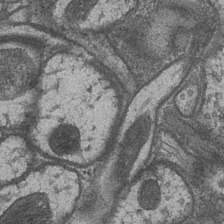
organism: Drosophila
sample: Optic medulla